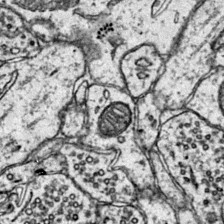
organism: Mouse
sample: Primary visual cortex